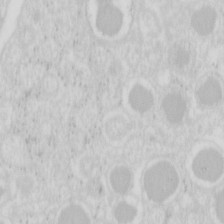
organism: Mouse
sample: Pancreas